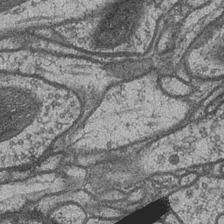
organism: Drosophila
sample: Optic medulla